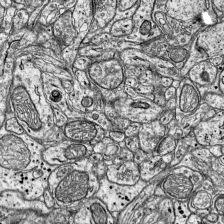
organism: Mouse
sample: Visual Cortex